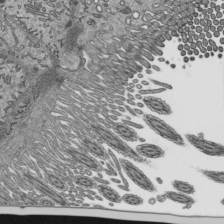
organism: Mouse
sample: Mouse epididymis efferent ductule cilia